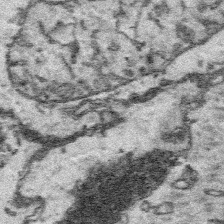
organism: Platynereis dumerilii